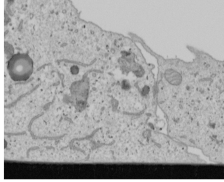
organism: Human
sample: Mitochondria in U2OS cells